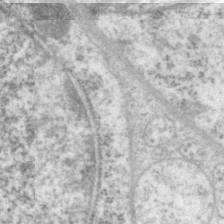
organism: P. pacificus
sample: Pharynx